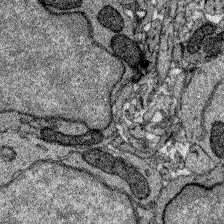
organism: Zebrafish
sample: Larval olfactory bulb